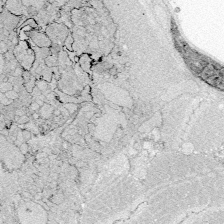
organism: Zebrafish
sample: Whole-Brain